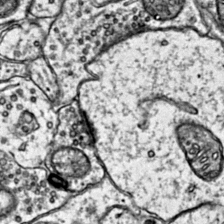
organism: Mouse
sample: Primary visual cortex